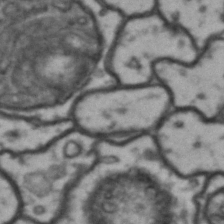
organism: Drosophila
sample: Brain